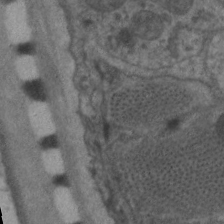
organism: C. elegans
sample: Pharynx